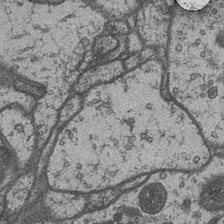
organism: Drosophila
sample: Optic medulla